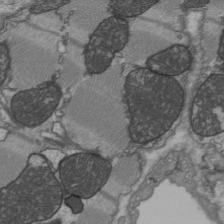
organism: C57BL Mouse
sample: Heart